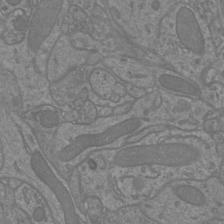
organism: Mouse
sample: Cortical neurons